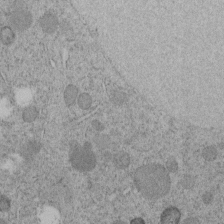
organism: C. elegans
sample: C. elegans embryo early stage